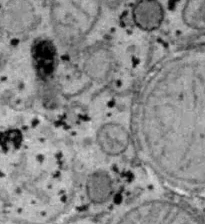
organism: Mouse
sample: Liver from an obese (ob/ob) mouse